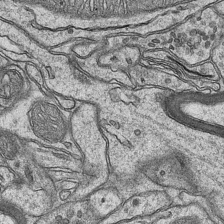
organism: Mouse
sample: CA1 Hippocampus